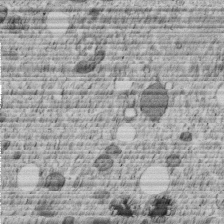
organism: C. elegans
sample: C. elegans embryo early stage